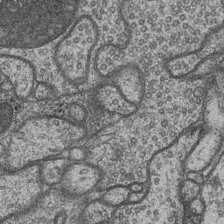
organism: Drosophila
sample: Optic medulla